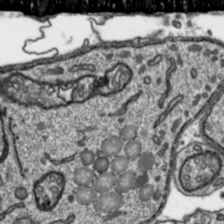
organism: Toxoplasma gondii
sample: Parasites in a vacuole inside a host cell